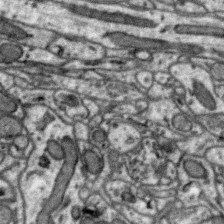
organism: Zebra finch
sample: Brain